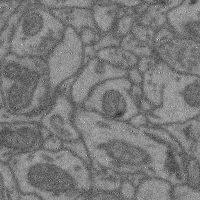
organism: Mouse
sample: Cerebral cortex